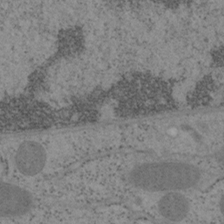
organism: Mouse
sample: OT-I killer T cells with ID8 ovarian cancer cells